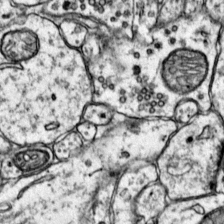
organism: Mouse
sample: Primary visual cortex